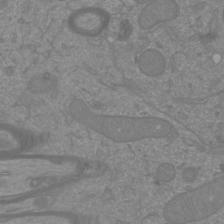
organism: Mouse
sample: Cortical neurons